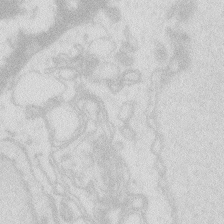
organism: Zebrafish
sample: Macrophage